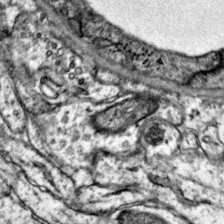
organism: Mouse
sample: Primary visual cortex